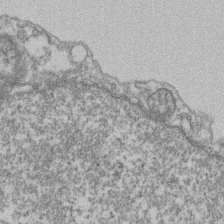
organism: Mouse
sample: T cell stromal cell synapse